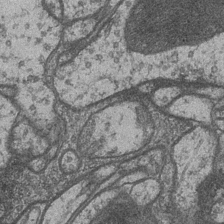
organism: Drosophila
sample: Optic medulla